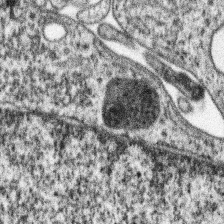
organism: Human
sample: HeLa cells